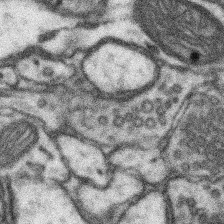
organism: Mouse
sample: Somatosensory cortex neuropil